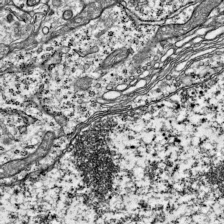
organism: Mouse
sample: Visual Cortex